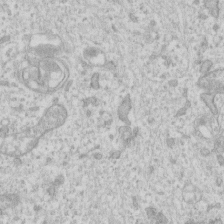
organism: Human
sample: Fibroblast cells